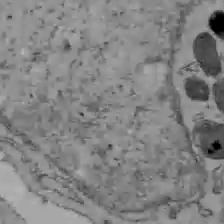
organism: C57BL Mouse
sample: Liver